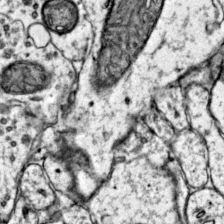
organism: Mouse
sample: Primary visual cortex